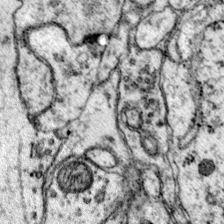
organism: Mouse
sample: Primary visual cortex